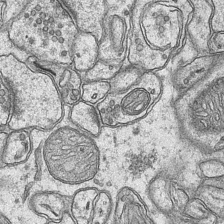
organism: Mouse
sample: CA1 Hippocampus